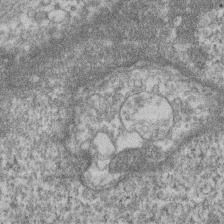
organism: Mouse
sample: T cell stromal cell synapse